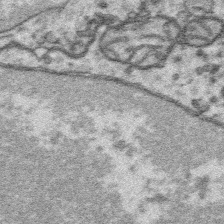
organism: Platynereis dumerilii